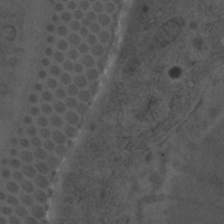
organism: C. elegans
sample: C. elegans embryo